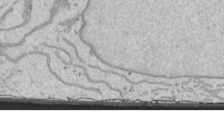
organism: Human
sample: Mitochondria in HCT116 cells